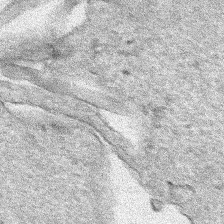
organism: Human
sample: Mitochondria in HCT116 cells